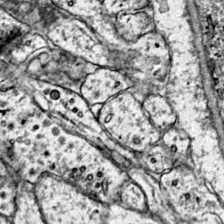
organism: Mouse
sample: Primary visual cortex